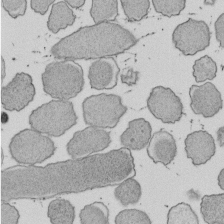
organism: E. coli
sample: Bacterial nucleoid